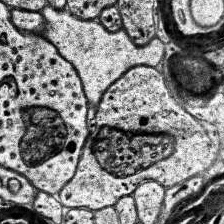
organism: Human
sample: Temporal Lobe